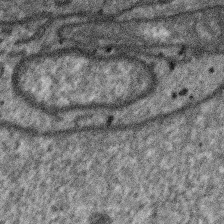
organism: Human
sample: Lung epithelial cells infected with SARS-CoV-2